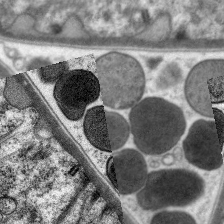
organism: C. elegans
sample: Pharynx